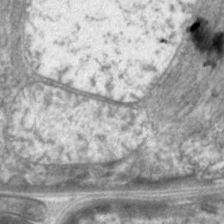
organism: C. elegans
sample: Pharynx